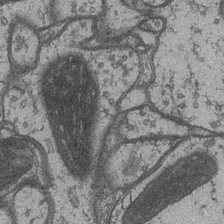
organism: Drosophila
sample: Optic medulla